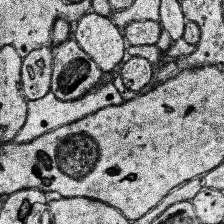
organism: Human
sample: Temporal Lobe